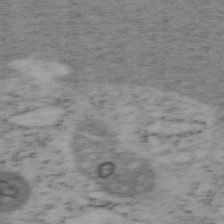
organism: Mouse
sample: OT-I killer T cells with ID8 ovarian cancer cells